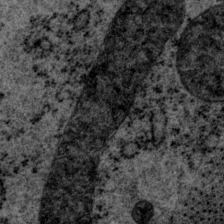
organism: P. pacificus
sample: Pharynx